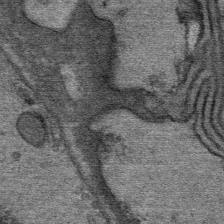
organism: Mouse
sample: Mouse Salivary gland